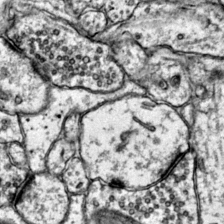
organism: Mouse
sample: Primary visual cortex